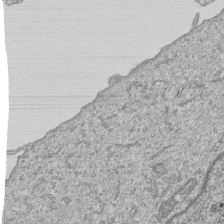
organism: Human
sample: MDA-MB-231 cells